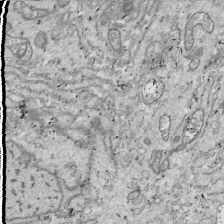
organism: Drosophila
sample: Cell division; meiosis; drosophila spermatocytes